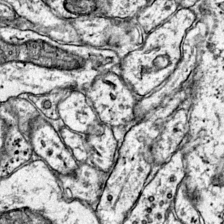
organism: Mouse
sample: Primary visual cortex